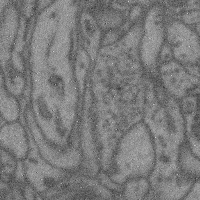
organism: Mouse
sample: Cerebral cortex